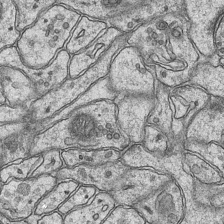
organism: Mouse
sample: CA1 Hippocampus